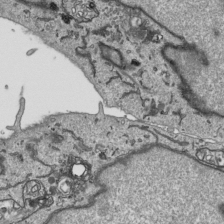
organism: Human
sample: Mitochondria in HCT116 cells